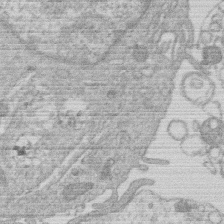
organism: Human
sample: Macrophage cells